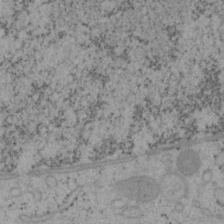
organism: Human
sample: HeLa cells